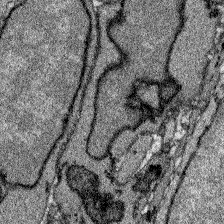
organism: Zebrafish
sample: Larval olfactory bulb